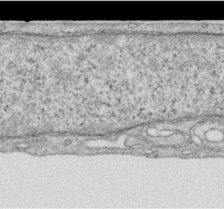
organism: Human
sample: Centriole in RPE cells